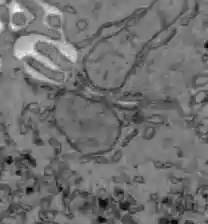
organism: C57BL Mouse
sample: Liver